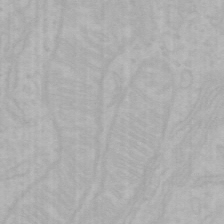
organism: Mouse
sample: Choroid plexus